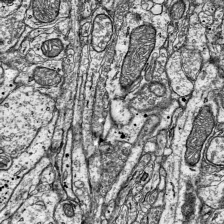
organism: Mouse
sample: Visual Cortex